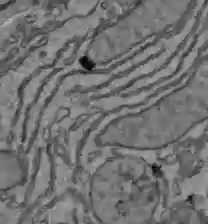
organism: C57BL Mouse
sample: Liver